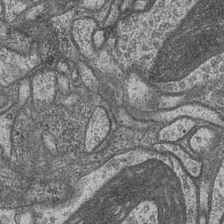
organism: Drosophila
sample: Optic medulla